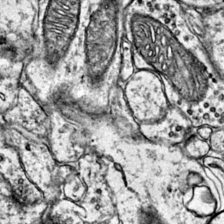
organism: Mouse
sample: Primary visual cortex